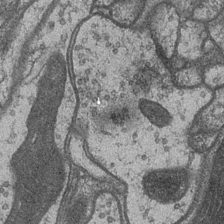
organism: Drosophila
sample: Optic medulla